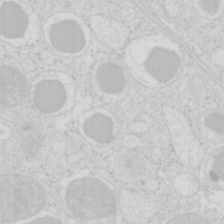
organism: Mouse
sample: Pancreas